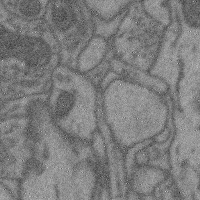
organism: Mouse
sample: Cerebral cortex